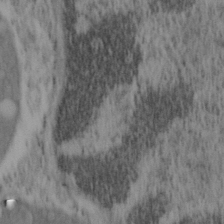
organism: Mouse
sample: OT-I killer T cells with ID8 ovarian cancer cells